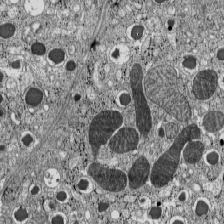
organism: C57BL Mouse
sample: Pancreatic islet